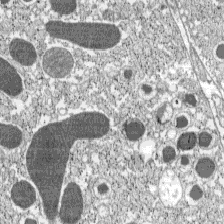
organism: C57BL Mouse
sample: Pancreatic islet